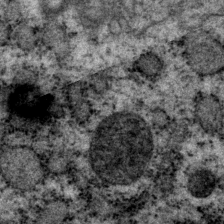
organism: P. pacificus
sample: Pharynx